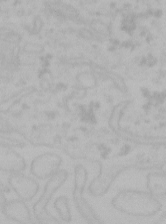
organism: Mouse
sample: Choroid plexus